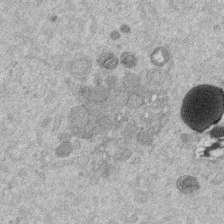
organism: Mouse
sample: Dividing mouse embryo 1 cell stage